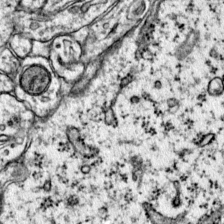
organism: Mouse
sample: Primary visual cortex